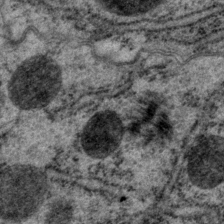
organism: P. pacificus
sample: Pharynx